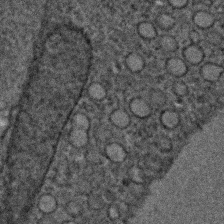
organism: C. elegans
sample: C. elegans embryo